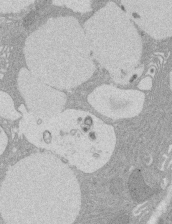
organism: Rat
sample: Salivary granule